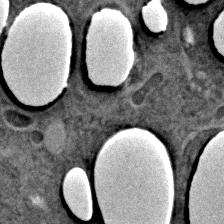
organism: C. elegans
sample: C. elegans embryo